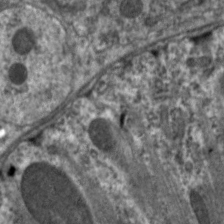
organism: C. elegans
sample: Pharynx